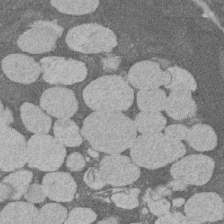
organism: Rat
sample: Salivary granule